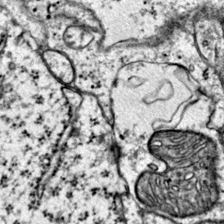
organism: Mouse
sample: Primary visual cortex